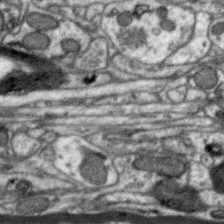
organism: Zebra finch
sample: Brain